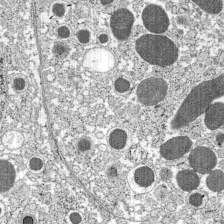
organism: C57BL Mouse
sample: Pancreatic islet